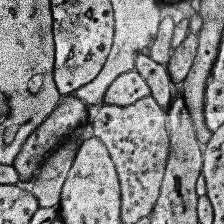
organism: Human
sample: Temporal Lobe